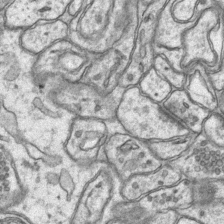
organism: Mouse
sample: CA1 Hippocampus